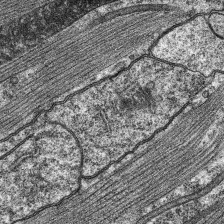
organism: C. elegans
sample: Pharynx